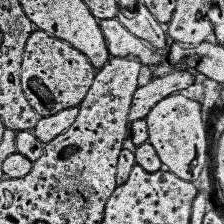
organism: Human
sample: Temporal Lobe